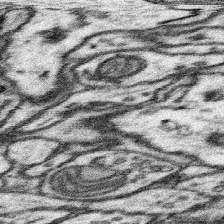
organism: Mouse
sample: Somatosensory cortex neuropil